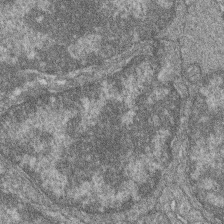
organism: Zebrafish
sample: Cilia; retinal pigment epithelium